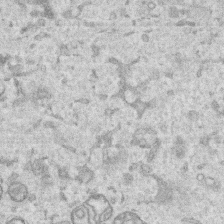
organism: Human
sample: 1205lu cells